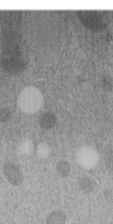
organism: C. elegans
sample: C. elegans embryo early stage